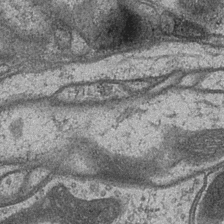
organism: Drosophila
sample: Optic medulla